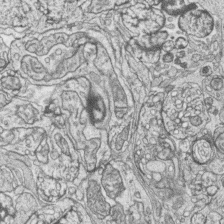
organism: Zebrafish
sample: synaptic ribbons in rod cells and cone cells